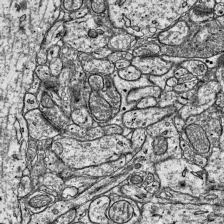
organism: Mouse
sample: Visual Cortex